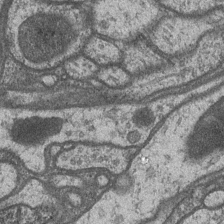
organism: Drosophila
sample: Optic medulla